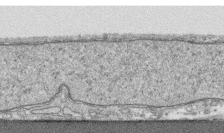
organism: Human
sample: CRL-1474